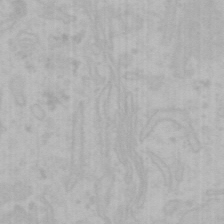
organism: Mouse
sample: Choroid plexus